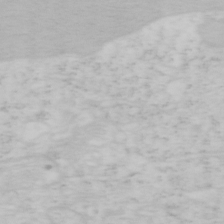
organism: Mouse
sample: OT-I killer T cells with ID8 ovarian cancer cells